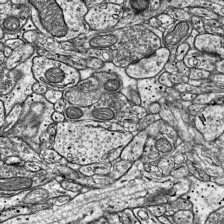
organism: Mouse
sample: Visual Cortex